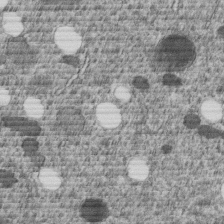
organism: C. elegans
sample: C. elegans embryo early stage